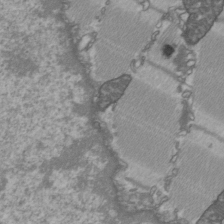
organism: C57BL Mouse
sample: Heart